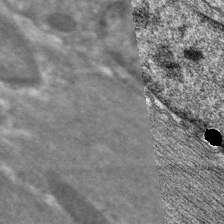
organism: C. elegans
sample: Pharynx